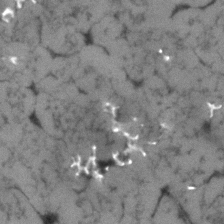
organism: Human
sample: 1205lu cells